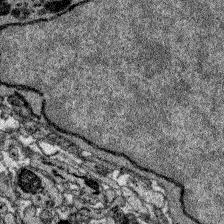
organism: Zebrafish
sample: Larval olfactory bulb